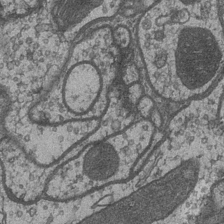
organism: Drosophila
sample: Optic medulla